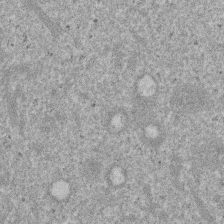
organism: Mouse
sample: Dividing mouse embryo 1 cell stage